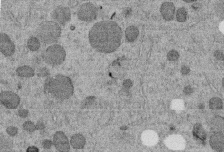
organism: C. elegans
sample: C. elegans embryo early stage